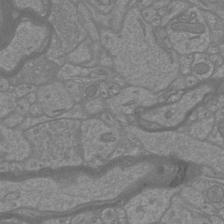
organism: Mouse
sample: Cortical neurons